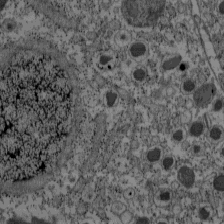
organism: C57BL Mouse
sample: Pancreatic islet